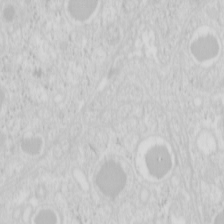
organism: Mouse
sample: Pancreas